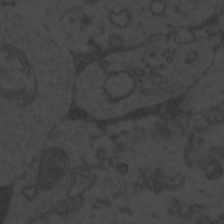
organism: Zebrafish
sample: Macrophage infected with Toxoplasma gondii